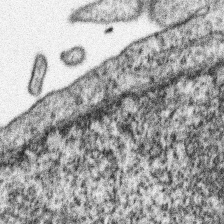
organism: Human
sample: HeLa cells